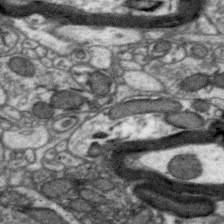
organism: Zebra finch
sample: Brain